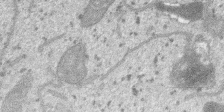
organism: Human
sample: Lung epithelial cells infected with SARS-CoV-2